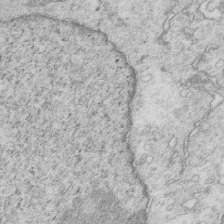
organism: Mouse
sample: Multiciliated cells